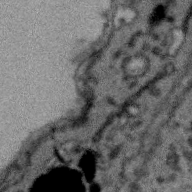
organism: Zebra finch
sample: Brain